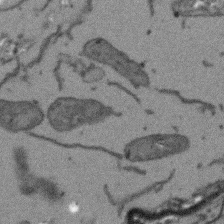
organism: Arabidopsis thaliana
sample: Root tip